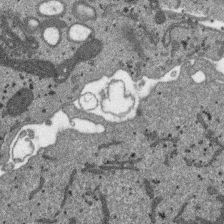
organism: Human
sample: Lung epithelial cells infected with SARS-CoV-2